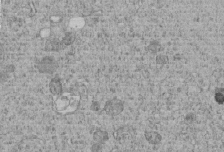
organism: C. elegans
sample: C. elegans embryo early stage